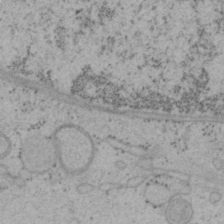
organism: Human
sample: HeLa cells